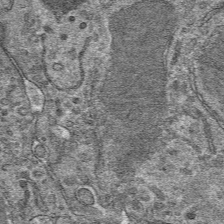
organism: Mouse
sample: Mouse hepatocytes